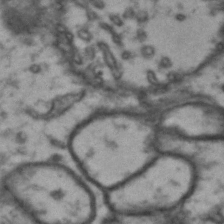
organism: Drosophila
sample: Brain